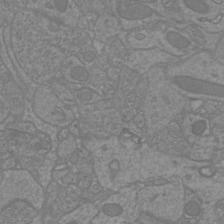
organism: Mouse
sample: Cortical neurons